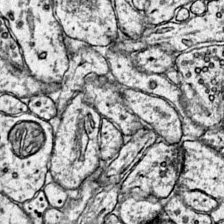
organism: Mouse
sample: Primary visual cortex